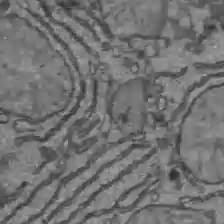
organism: C57BL Mouse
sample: Liver